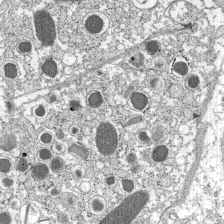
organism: C57BL Mouse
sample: Pancreatic islet